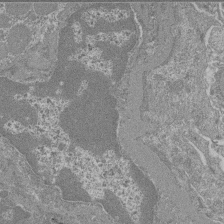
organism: Mouse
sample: Glomerulus